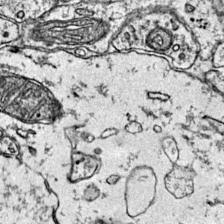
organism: Mouse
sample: Primary visual cortex